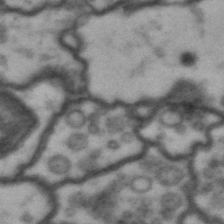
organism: Drosophila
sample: Brain